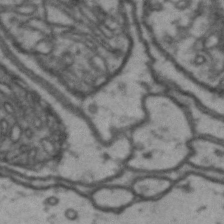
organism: Drosophila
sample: Brain